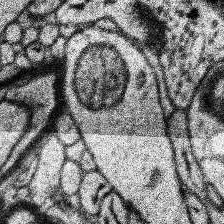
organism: Human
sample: Temporal Lobe